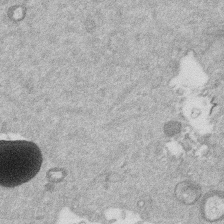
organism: Mouse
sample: Dividing mouse embryo 1 cell stage